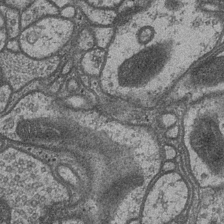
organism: Drosophila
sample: Optic medulla